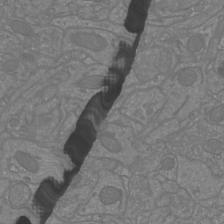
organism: Mouse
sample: Cortical neurons